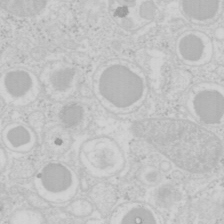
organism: Mouse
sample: Pancreas